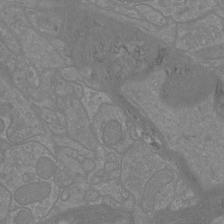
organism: Mouse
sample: Cortical neurons